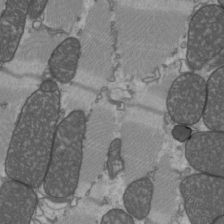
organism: C57BL Mouse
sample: Heart